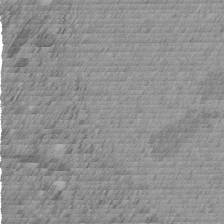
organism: C. elegans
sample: C. elegans embryo early stage